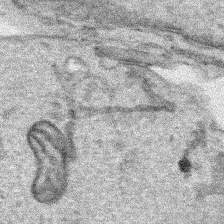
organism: Human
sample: Mitochondria in HCT116 cells